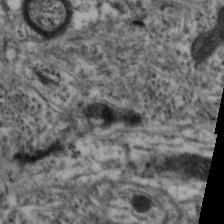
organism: Mouse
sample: Neocortex